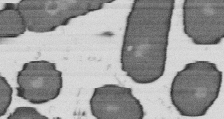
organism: B. subtilis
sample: Bacterial spore